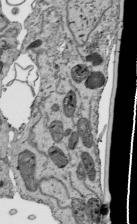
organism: Human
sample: Mitochondria in HCT116 cells